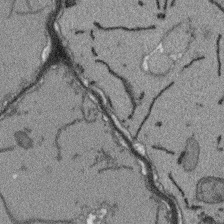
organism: Arabidopsis thaliana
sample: Root tip